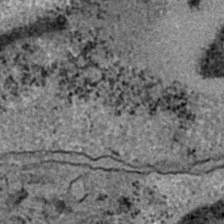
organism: C. elegans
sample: C. elegans embryo